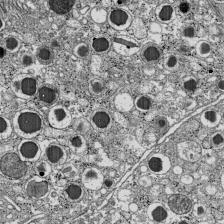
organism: C57BL Mouse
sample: Pancreatic islet